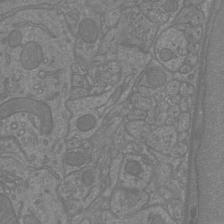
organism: Mouse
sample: Cortical neurons